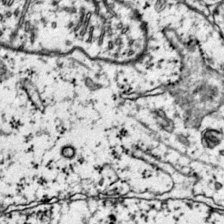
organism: Mouse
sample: Primary visual cortex